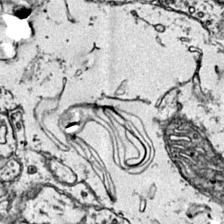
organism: Mouse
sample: Primary visual cortex